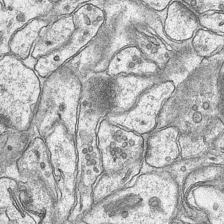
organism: Mouse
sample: CA1 Hippocampus